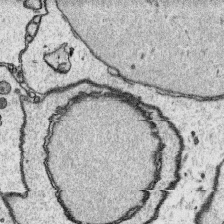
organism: Platynereis dumerilii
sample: Parapodia